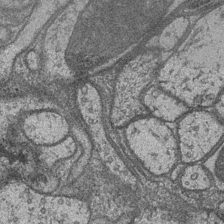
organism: Drosophila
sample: Optic medulla